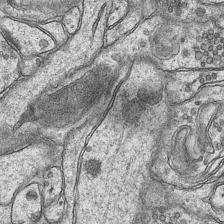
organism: Mouse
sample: CA1 Hippocampus